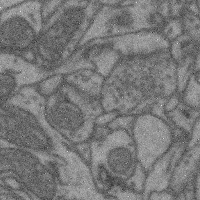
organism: Mouse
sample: Cerebral cortex